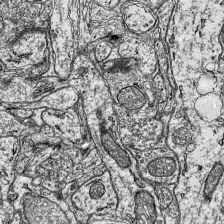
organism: Mouse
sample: Visual Cortex